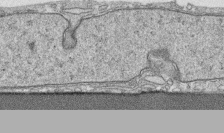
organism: Human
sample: CRL-1474